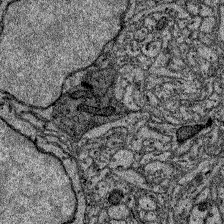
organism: Zebrafish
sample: Larval olfactory bulb